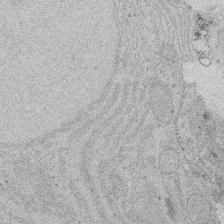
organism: Rat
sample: Salivary granule